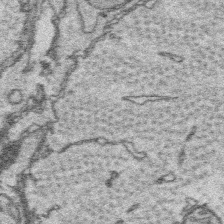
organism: Platynereis dumerilii